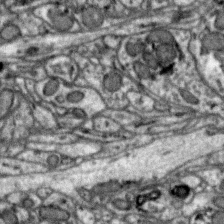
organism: Zebra finch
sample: Brain